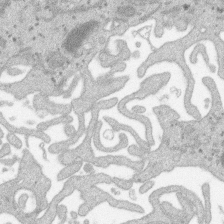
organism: Human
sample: Lung epithelial cells infected with SARS-CoV-2